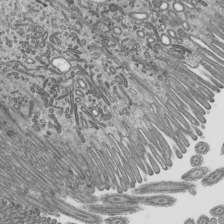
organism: Mouse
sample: Mouse epididymis efferent ductule cilia